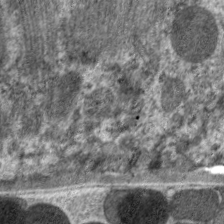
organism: C. elegans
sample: Pharynx